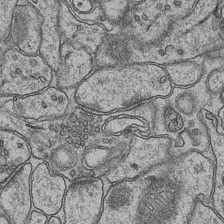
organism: Mouse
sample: CA1 Hippocampus